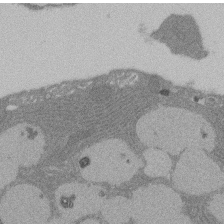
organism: Rat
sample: Salivary granule